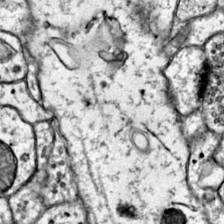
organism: Mouse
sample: Primary visual cortex